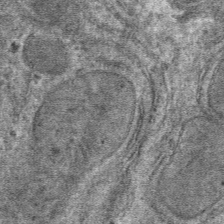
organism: Mouse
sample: Mouse hepatocytes